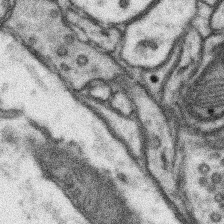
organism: Mouse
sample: Somatosensory cortex neuropil